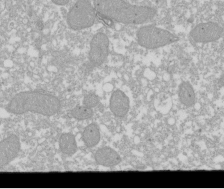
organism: Xenopus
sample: Cilia; centrioles in frog embryo cells